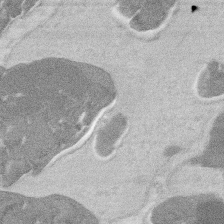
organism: Mouse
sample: T cell stromal cell synapse